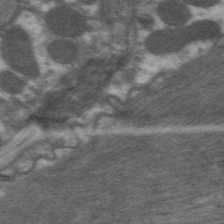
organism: C. elegans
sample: Pharynx